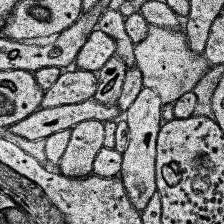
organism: Human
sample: Temporal Lobe